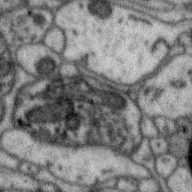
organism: Zebra finch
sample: Brain